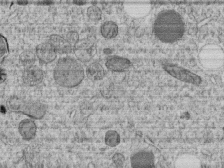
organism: C. elegans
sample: C. elegans embryo early stage